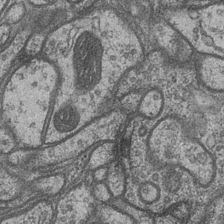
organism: Drosophila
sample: Optic medulla